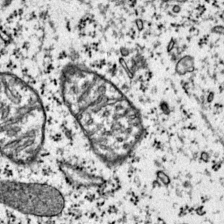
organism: Mouse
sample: Primary visual cortex